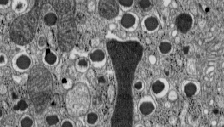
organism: C57BL Mouse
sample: Pancreatic islet